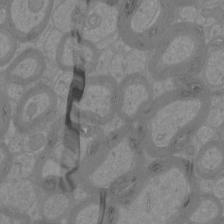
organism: Mouse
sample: Cortical neurons